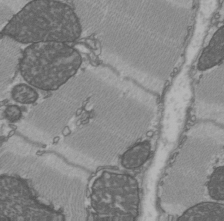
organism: C57BL Mouse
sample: Heart